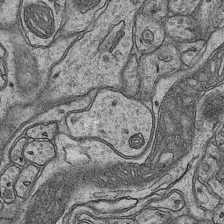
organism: Mouse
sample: CA1 Hippocampus